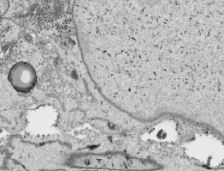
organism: Human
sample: Mitochondria in HCT116 cells